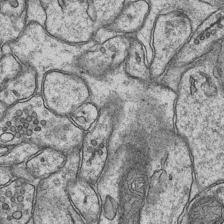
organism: Mouse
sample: CA1 Hippocampus